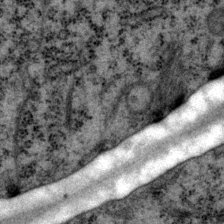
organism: P. pacificus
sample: Pharynx